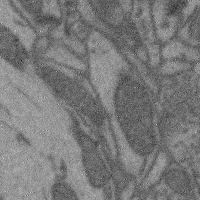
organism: Mouse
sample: Cerebral cortex